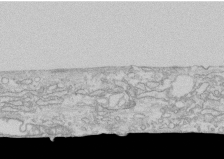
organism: Human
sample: CRL-1474